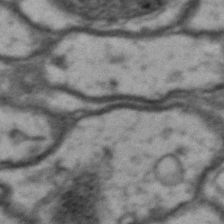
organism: Drosophila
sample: Brain